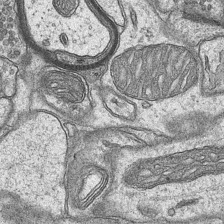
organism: Mouse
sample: CA1 Hippocampus